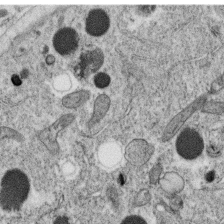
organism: C. elegans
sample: C. elegans oocyte; sperm cells